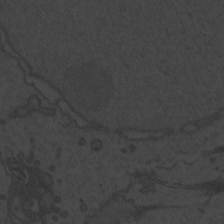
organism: Zebrafish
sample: Macrophage infected with Toxoplasma gondii